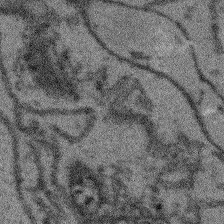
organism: Arabidopsis thaliana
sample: Root tip